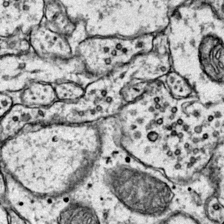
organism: Mouse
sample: Primary visual cortex